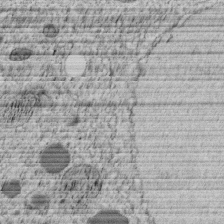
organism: C. elegans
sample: C. elegans embryo early stage